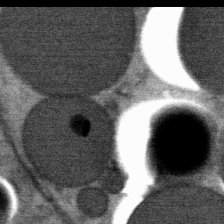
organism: Mouse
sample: Mouse Salivary gland